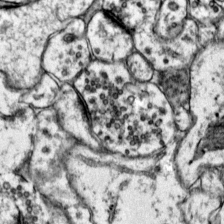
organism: Mouse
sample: Primary visual cortex